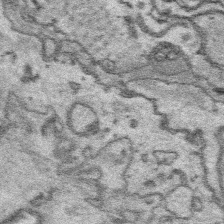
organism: Platynereis dumerilii